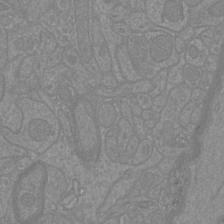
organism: Mouse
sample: Cortical neurons